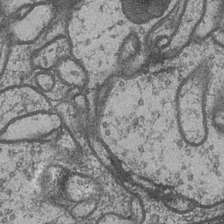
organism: Drosophila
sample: Optic medulla